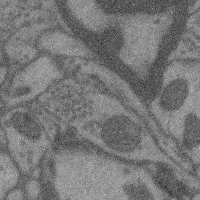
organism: Mouse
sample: Cerebral cortex